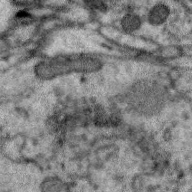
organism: Zebra finch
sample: Brain